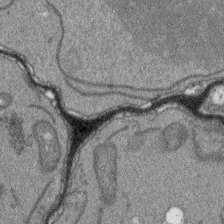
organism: Arabidopsis thaliana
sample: Root tip